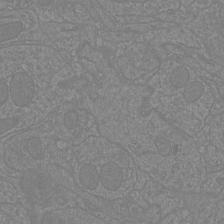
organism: Mouse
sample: Cortical neurons